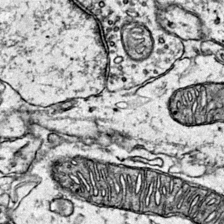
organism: Mouse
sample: Primary visual cortex